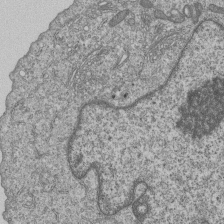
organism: Human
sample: MDA-MB-231 cells